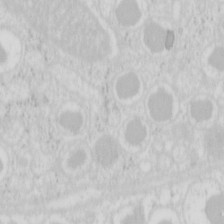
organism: Mouse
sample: Pancreas